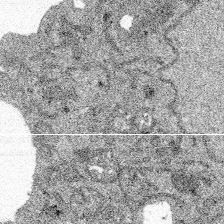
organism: Spongilla lacustris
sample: Multiple